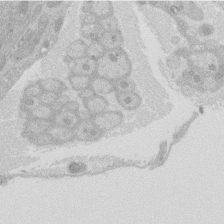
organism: Rat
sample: Salivary granule